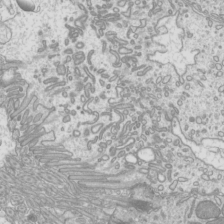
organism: Mouse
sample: Cilia; mouse epididymis